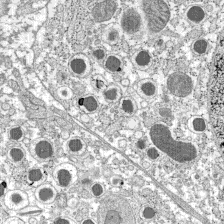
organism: C57BL Mouse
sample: Pancreatic islet